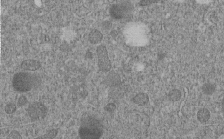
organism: C. elegans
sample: C. elegans embryo early stage